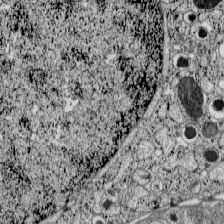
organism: C57BL Mouse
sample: Pancreatic islet